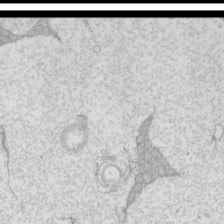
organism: Mouse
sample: Cilia; mouse epididymis